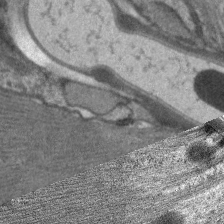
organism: C. elegans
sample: Pharynx